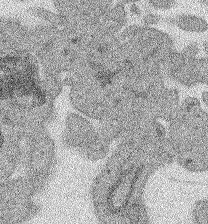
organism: Human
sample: HeLa cells